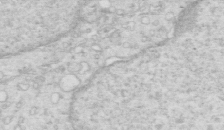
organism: Mouse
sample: Multiciliated cells